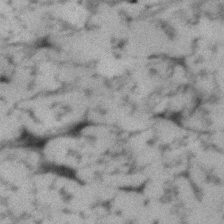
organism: Human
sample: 1205lu cells